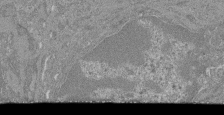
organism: Mouse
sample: Glomerulus